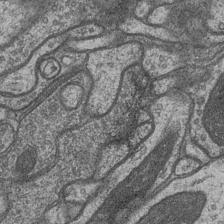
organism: Drosophila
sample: Optic medulla